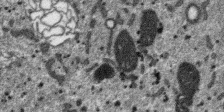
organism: Human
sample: Lung epithelial cells infected with SARS-CoV-2